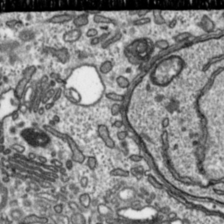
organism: Toxoplasma gondii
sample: Parasites in a vacuole inside a host cell